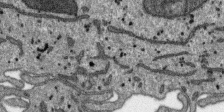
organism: Human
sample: Lung epithelial cells, uninfected (mock) control